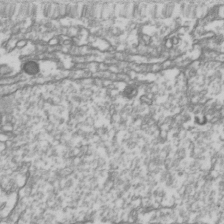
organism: Drosophila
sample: Cell division; meiosis; drosophila spermatocytes